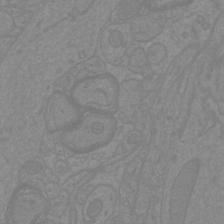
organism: Mouse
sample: Cortical neurons